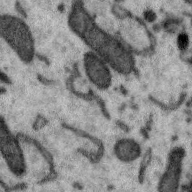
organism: Zebra finch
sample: Brain